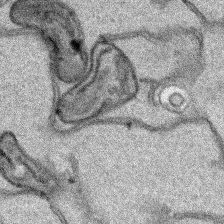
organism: Human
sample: Mitochondria in HCT116 cells